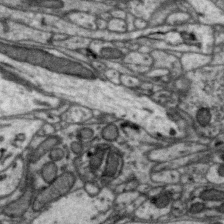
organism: Zebra finch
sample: Brain